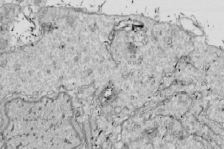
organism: Drosophila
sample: Cell division; meiosis; drosophila spermatocytes